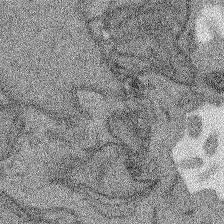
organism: Human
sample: HeLa cells